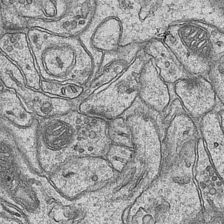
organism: Mouse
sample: CA1 Hippocampus